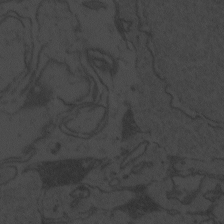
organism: Zebrafish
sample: Macrophage infected with Toxoplasma gondii